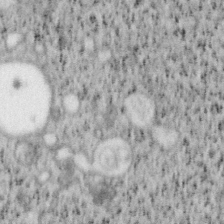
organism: Mouse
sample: OT-I killer T cells with ID8 ovarian cancer cells